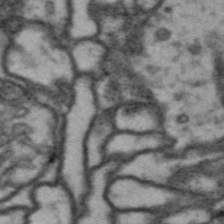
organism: Drosophila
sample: Brain